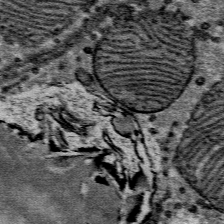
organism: Mouse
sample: Mouse Salivary gland